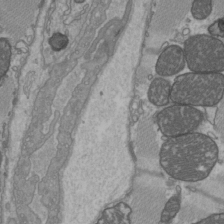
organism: C57BL Mouse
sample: Heart